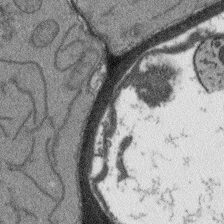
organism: Arabidopsis thaliana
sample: Root tip